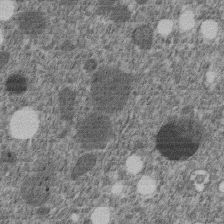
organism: C. elegans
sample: C. elegans embryo early stage